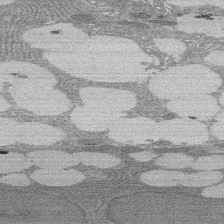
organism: Rat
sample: Salivary granule